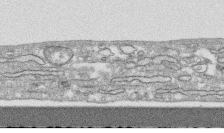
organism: Human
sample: CRL-1474